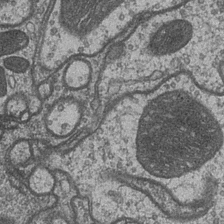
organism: Drosophila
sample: Optic medulla